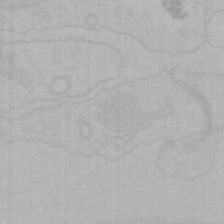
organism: Mouse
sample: Choroid plexus